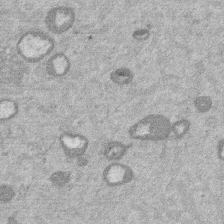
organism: Mouse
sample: Dividing mouse embryo 1 cell stage